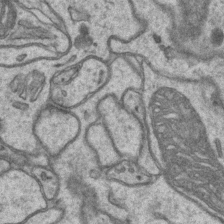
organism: Mouse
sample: CA1 Hippocampus